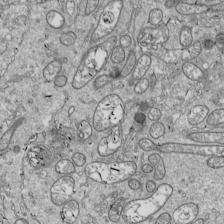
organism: Drosophila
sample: Cell division; meiosis; drosophila spermatocytes